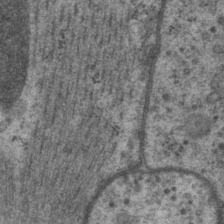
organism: P. pacificus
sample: Pharynx